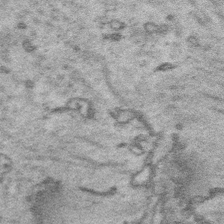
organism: Platynereis dumerilii